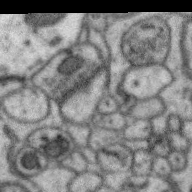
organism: Zebra finch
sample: Brain